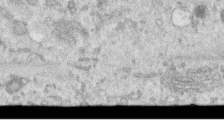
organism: Human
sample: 1205lu cells